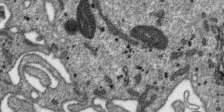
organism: Human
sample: Lung epithelial cells infected with SARS-CoV-2